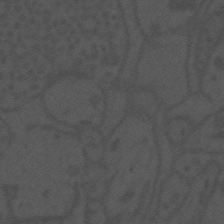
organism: Mouse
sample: Suprachiasmatic nucleus